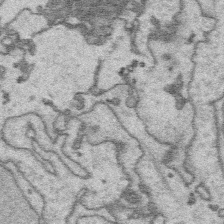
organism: Platynereis dumerilii